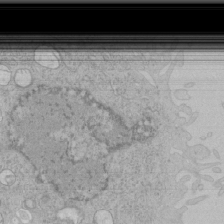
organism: Human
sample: Mitochondria in HCT116 cells